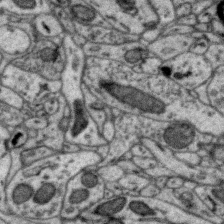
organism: Zebra finch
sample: Brain